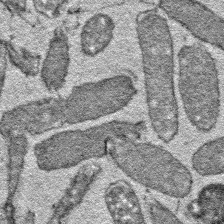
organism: E. coli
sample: E. Coli Bacteria